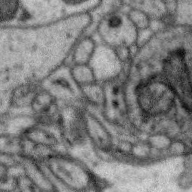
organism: Zebra finch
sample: Brain